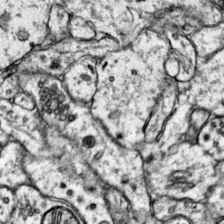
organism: Mouse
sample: Primary visual cortex